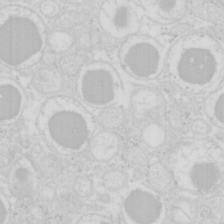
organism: Mouse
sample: Pancreas